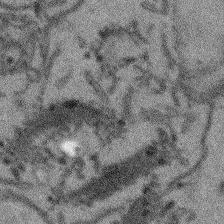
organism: Arabidopsis thaliana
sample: Root tip